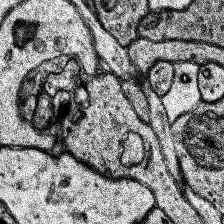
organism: Human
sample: Temporal Lobe